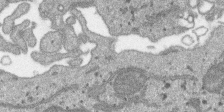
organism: Human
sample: Lung epithelial cells infected with SARS-CoV-2